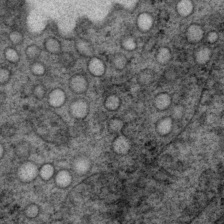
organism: P. pacificus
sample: Pharynx